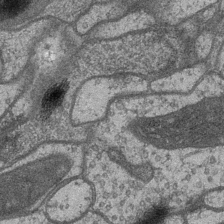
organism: Drosophila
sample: Optic medulla